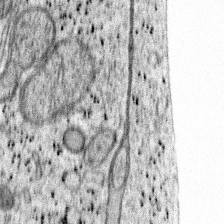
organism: Human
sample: HeLa cells